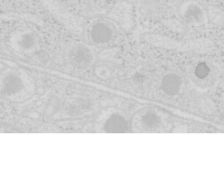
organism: Mouse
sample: Pancreas